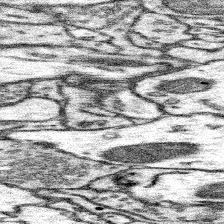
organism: Mouse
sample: Somatosensory cortex neuropil